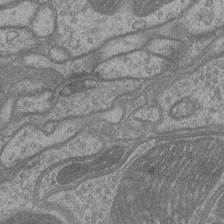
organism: Drosophila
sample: Optic medulla